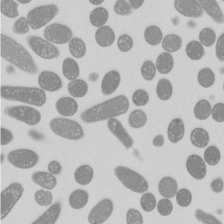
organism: E. coli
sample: Bacterial nucleoid